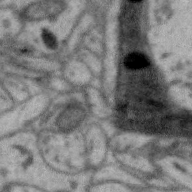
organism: Zebra finch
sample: Brain